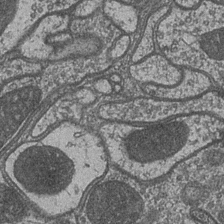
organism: Drosophila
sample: Optic medulla